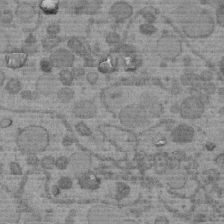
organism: C. elegans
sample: C. elegans embryo early stage